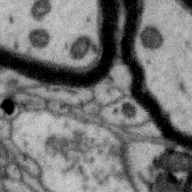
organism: Zebra finch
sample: Brain